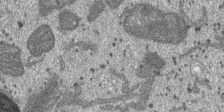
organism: Human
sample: Lung epithelial cells infected with SARS-CoV-2